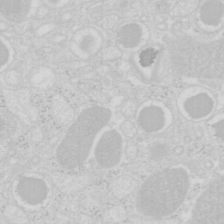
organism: Mouse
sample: Pancreas